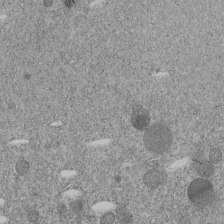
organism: C. elegans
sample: C. elegans embryo early stage